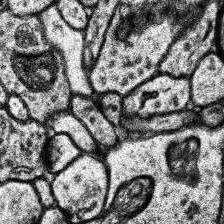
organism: Human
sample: Temporal Lobe